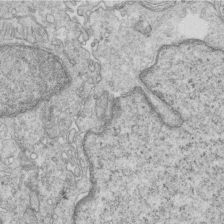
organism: Mouse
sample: Multiciliated cells